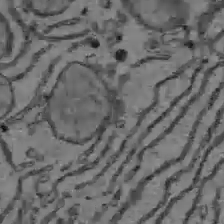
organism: C57BL Mouse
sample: Liver